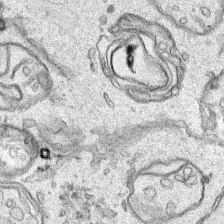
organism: Human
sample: Mitochondria in HCT116 cells